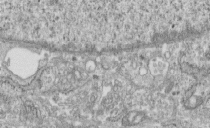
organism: Human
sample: Centriole in fibroblast cells